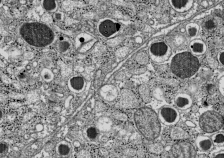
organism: C57BL Mouse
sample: Pancreatic islet